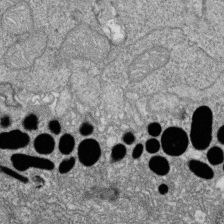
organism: Zebrafish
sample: Cilia; retinal pigment epithelium